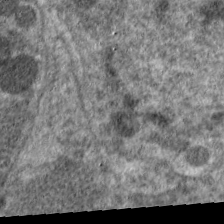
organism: C. elegans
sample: Pharynx